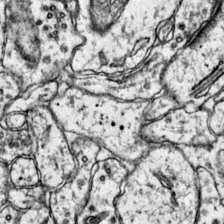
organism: Mouse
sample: Primary visual cortex